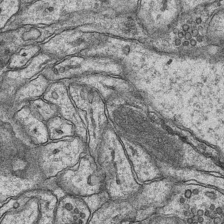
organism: Mouse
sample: CA1 Hippocampus